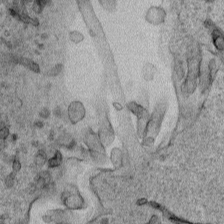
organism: Human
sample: Mitochondria in HCT116 cells